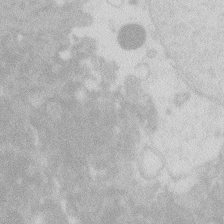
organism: Zebrafish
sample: Macrophage